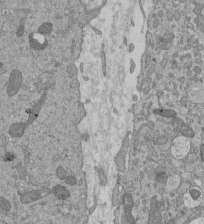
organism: Mouse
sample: ED-1 cell nuclei; centrioles